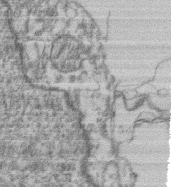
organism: Mouse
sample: T cell stromal cell synapse